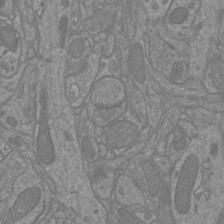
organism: Mouse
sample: Cortical neurons